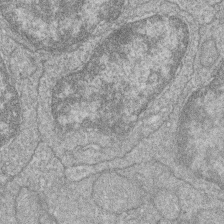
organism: Zebrafish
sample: Cilia; retinal pigment epithelium